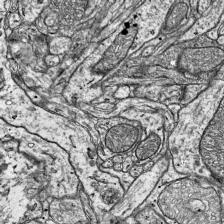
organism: Mouse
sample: Visual Cortex